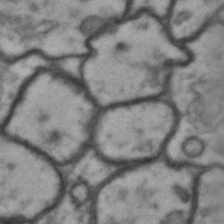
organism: Drosophila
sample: Brain